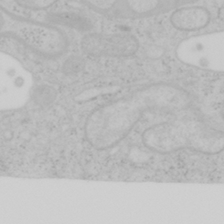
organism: Mouse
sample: OT-I killer T cells with ID8 ovarian cancer cells